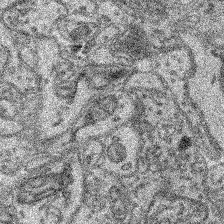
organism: Mouse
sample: Retina